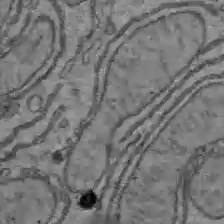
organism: C57BL Mouse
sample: Liver